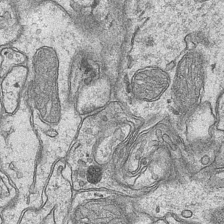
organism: Mouse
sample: CA1 Hippocampus